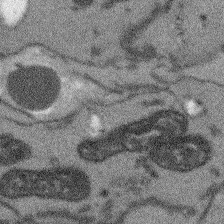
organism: Arabidopsis thaliana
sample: Root tip